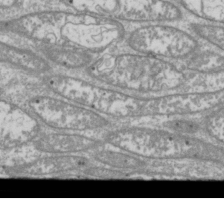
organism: Drosophila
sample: Cell division; meiosis; drosophila spermatocytes